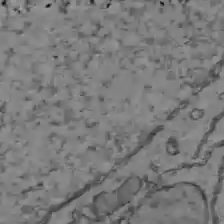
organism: C57BL Mouse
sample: Liver